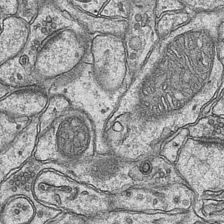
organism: Mouse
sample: CA1 Hippocampus